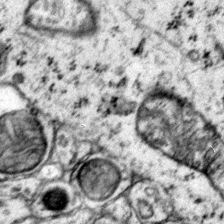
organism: Mouse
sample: Primary visual cortex